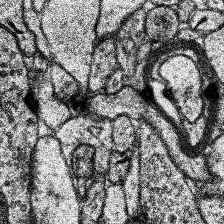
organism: Human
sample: Temporal Lobe